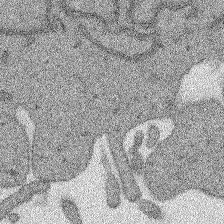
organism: Human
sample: HeLa cells